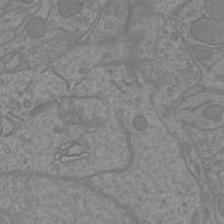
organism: Mouse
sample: Cortical neurons